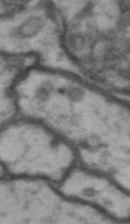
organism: Drosophila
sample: Brain